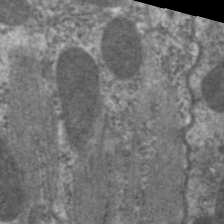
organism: C. elegans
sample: Pharynx